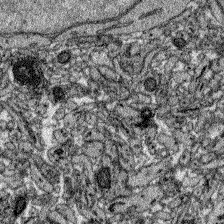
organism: Zebrafish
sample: Larval olfactory bulb